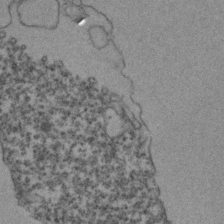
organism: Zebrafish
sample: Zebrafish embryo